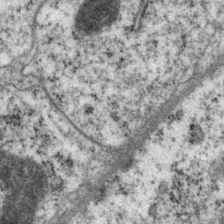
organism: P. pacificus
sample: Pharynx